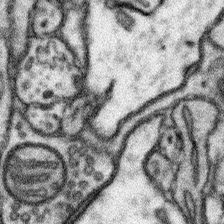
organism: Mouse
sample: Somatosensory cortex neuropil